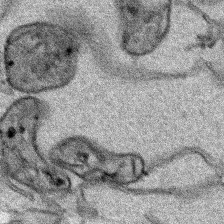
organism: Human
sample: Mitochondria in HCT116 cells